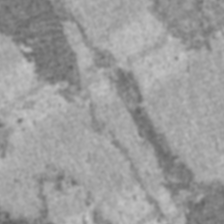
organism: C57BL Mouse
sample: Heart